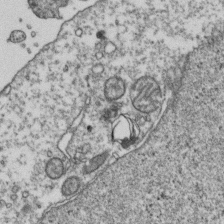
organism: Human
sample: Activated Jurkat CD4+ T cells